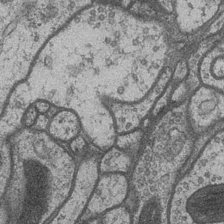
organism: Drosophila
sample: Optic medulla